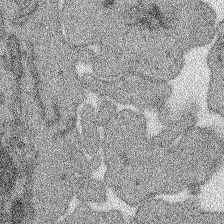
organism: Human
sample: HeLa cells